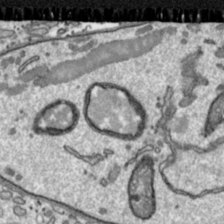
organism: Toxoplasma gondii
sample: Parasites in a vacuole inside a host cell